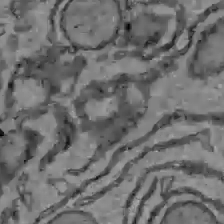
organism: C57BL Mouse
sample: Liver